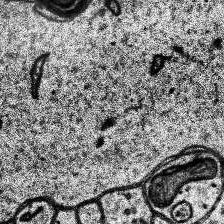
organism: Human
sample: Temporal Lobe